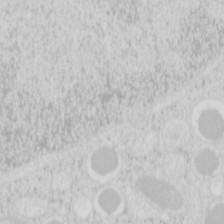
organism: Mouse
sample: Pancreas